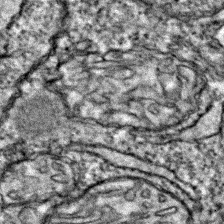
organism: Zebrafish